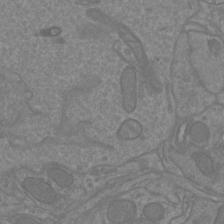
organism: Mouse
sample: Cortical neurons